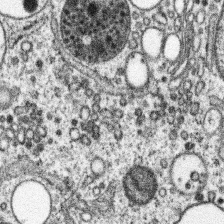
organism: Human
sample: HeLa cells